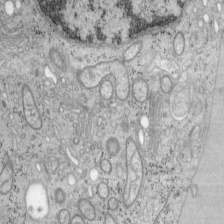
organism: Mouse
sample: OT-I killer T cells with ID8 ovarian cancer cells